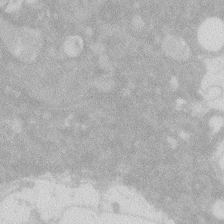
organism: Zebrafish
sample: Macrophage